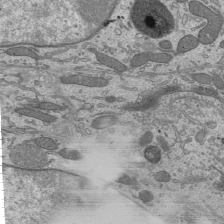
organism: Mouse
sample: Mouse epididymis efferent ductule cilia